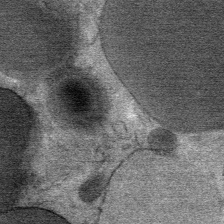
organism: Mouse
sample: Mouse Salivary gland